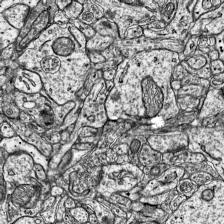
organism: Mouse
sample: Visual Cortex